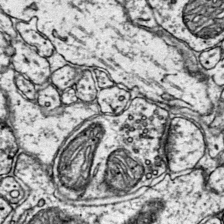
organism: Mouse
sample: Primary visual cortex